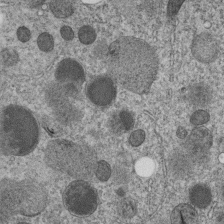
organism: C. elegans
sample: C. elegans embryo early stage